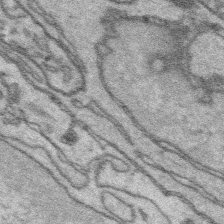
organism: Platynereis dumerilii